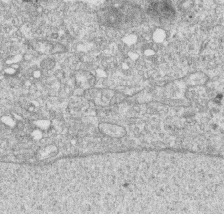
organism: Human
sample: HeLa cell HIV synapse